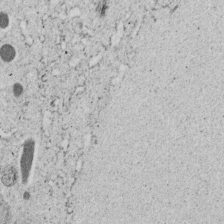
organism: C. elegans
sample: C. elegans embryo early stage